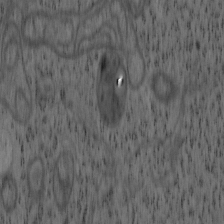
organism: Human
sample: HeLa cells